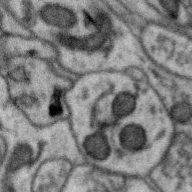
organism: Zebra finch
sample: Brain